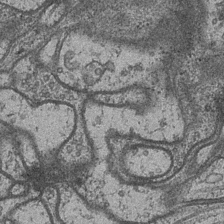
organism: Drosophila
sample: Optic medulla